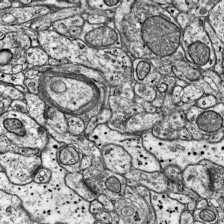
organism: Mouse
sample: Visual Cortex